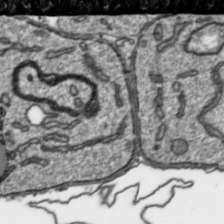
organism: Toxoplasma gondii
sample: Parasites in a vacuole inside a host cell